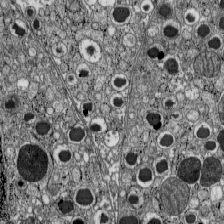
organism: C57BL Mouse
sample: Pancreatic islet